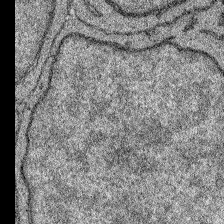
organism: Zebrafish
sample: Larval olfactory bulb